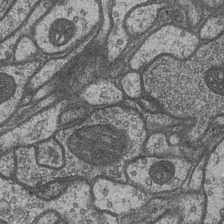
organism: Drosophila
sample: Optic medulla